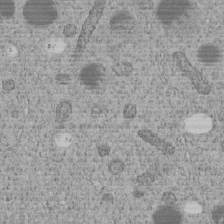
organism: C. elegans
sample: C. elegans embryo early stage